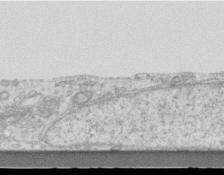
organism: Mouse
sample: Centriole in ependymal cells